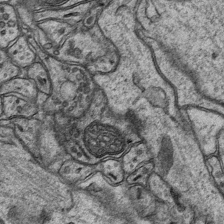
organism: Mouse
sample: CA1 Hippocampus